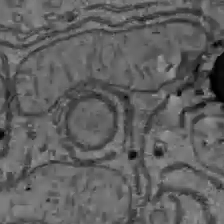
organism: C57BL Mouse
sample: Liver